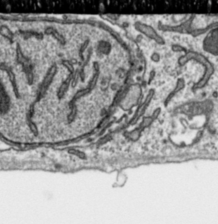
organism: Toxoplasma gondii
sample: Parasites in a vacuole inside a host cell